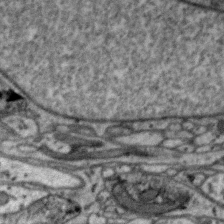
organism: Zebra finch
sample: Brain